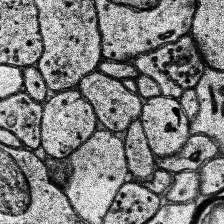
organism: Human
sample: Temporal Lobe